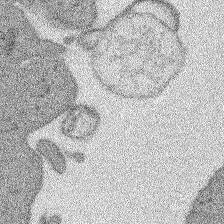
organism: Human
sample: HeLa cells